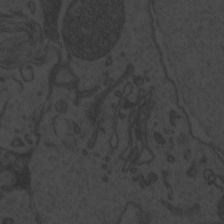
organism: Zebrafish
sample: Macrophage infected with Toxoplasma gondii